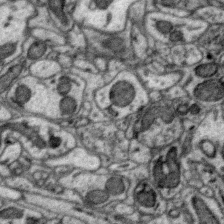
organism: Zebra finch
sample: Brain